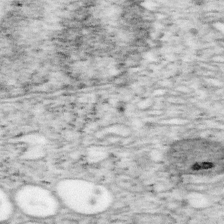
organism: Mouse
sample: OT-I killer T cells with ID8 ovarian cancer cells